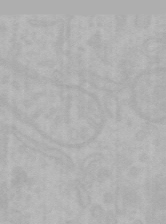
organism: Mouse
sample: Choroid plexus